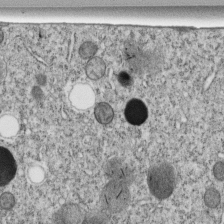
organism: C. elegans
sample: C. elegans embryo early stage